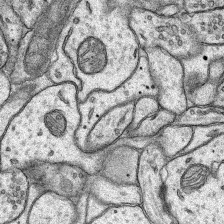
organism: Rat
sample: Hippocampus